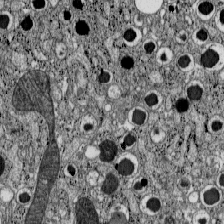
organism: C57BL Mouse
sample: Pancreatic islet